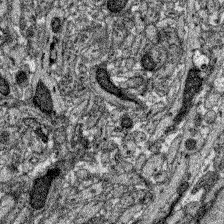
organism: Zebrafish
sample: Larval olfactory bulb